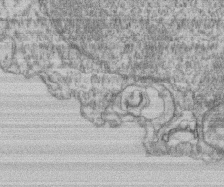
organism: Mouse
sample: T cell stromal cell synapse